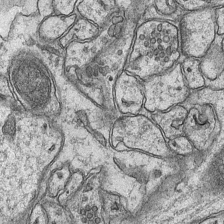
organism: Mouse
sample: CA1 Hippocampus